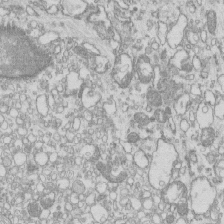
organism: Mouse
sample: Macrophages